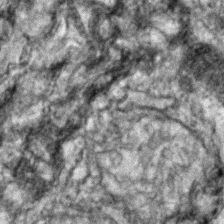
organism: Zebrafish